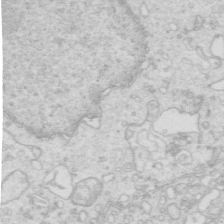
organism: Mouse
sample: Multiciliated cells